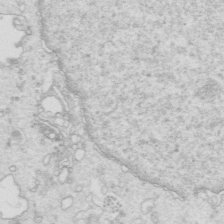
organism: Mouse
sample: Multiciliated cells